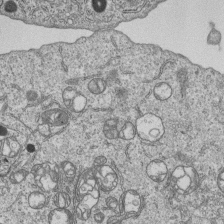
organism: Human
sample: MDA-MB-231 cells